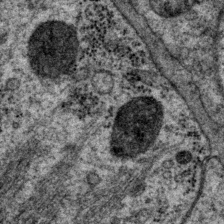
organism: P. pacificus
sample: Pharynx